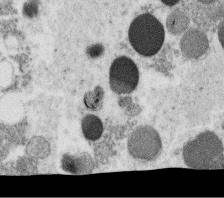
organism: C. elegans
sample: C. elegans oocyte; sperm cells